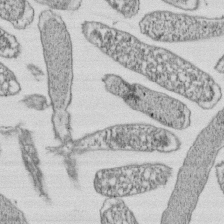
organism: E. coli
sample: Bacterial nucleoid